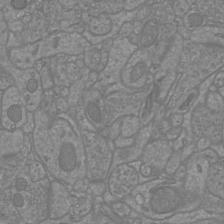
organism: Mouse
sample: Cortical neurons